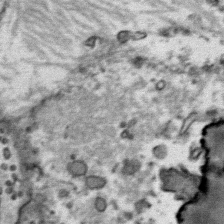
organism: Mouse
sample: Mouse Salivary gland